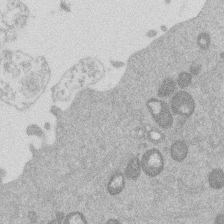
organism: Mouse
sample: Dividing mouse embryo 1 cell stage